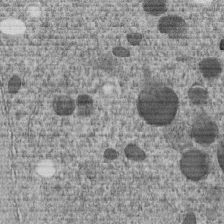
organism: C. elegans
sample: C. elegans embryo early stage